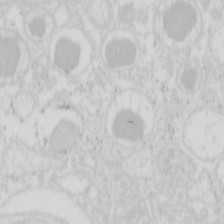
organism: Mouse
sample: Pancreas